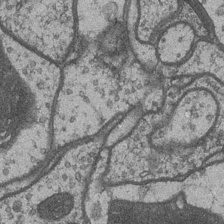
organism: Drosophila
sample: Optic medulla